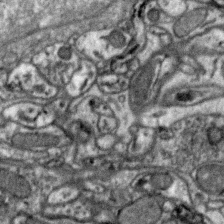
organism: Zebra finch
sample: Brain